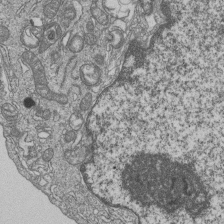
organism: Human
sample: MDA-MB-231 cells